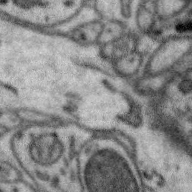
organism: Zebra finch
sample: Brain